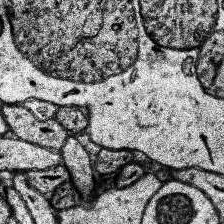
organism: Human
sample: Temporal Lobe